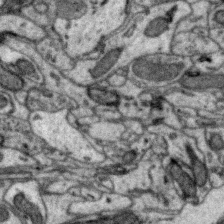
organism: Zebra finch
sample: Brain